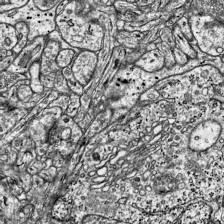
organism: Mouse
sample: Visual Cortex